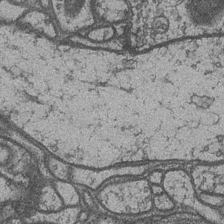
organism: Drosophila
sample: Optic medulla